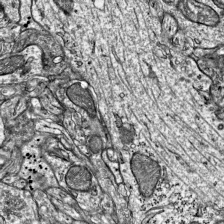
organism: Mouse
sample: Visual Cortex